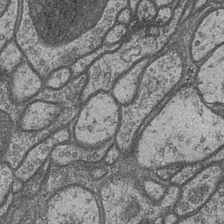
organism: Drosophila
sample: Optic medulla